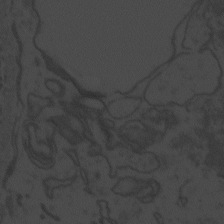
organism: Zebrafish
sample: Macrophage infected with Toxoplasma gondii